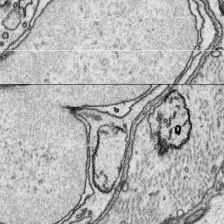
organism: Platynereis dumerilii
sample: Parapodia